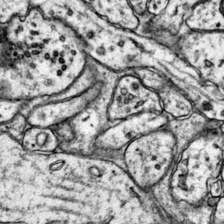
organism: Mouse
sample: Primary visual cortex